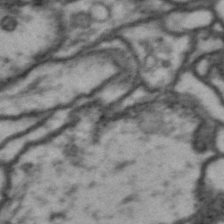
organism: Drosophila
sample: Brain